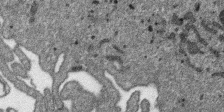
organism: Human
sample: Lung epithelial cells infected with SARS-CoV-2